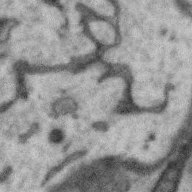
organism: Zebra finch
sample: Brain